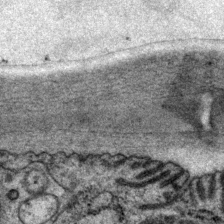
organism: P. pacificus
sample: Pharynx